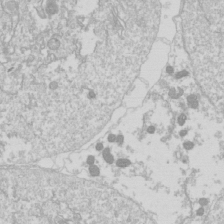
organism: Drosophila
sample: Cell division; meiosis; drosophila spermatocytes